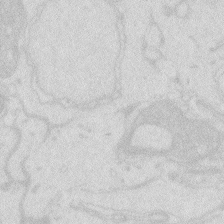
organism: Zebrafish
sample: Macrophage